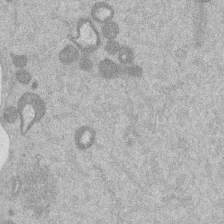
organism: Mouse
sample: Dividing mouse embryo 1 cell stage